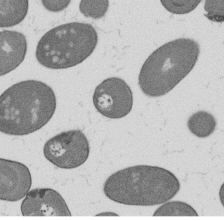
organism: B. subtilis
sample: Bacterial spore